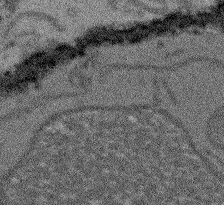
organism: Arabidopsis thaliana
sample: Root tip